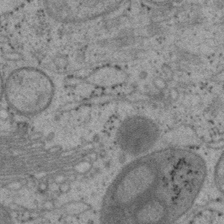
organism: Human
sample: HeLa cells